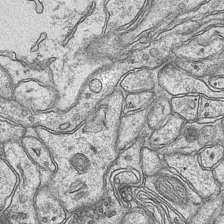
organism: Mouse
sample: CA1 Hippocampus